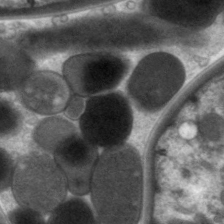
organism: C. elegans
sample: Pharynx